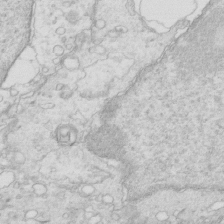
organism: Mouse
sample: Multiciliated cells